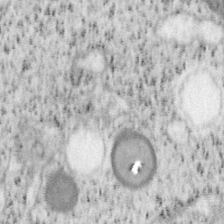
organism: Mouse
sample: OT-I killer T cells with ID8 ovarian cancer cells